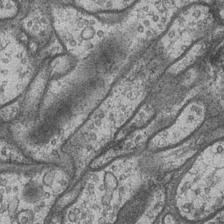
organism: Drosophila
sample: Optic medulla